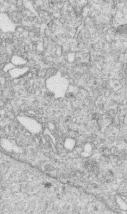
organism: Human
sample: HeLa cell HIV synapse